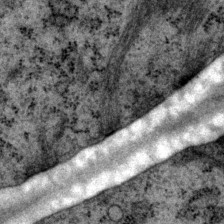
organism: P. pacificus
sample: Pharynx